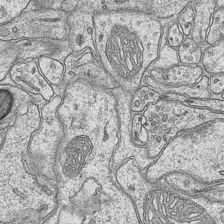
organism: Mouse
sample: CA1 Hippocampus